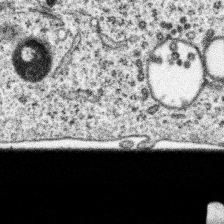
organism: Human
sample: HeLa cells